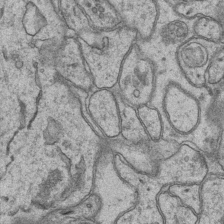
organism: Mouse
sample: CA1 Hippocampus